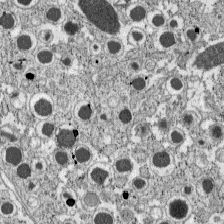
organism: C57BL Mouse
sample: Pancreatic islet